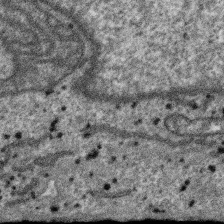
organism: Human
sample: Lung epithelial cells infected with SARS-CoV-2